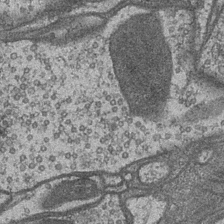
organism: Drosophila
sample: Optic medulla